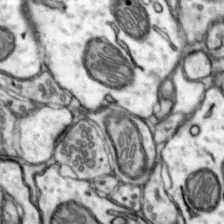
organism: Mouse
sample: Nucleus accumbens